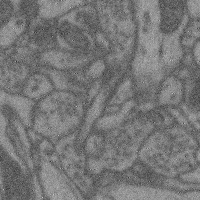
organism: Mouse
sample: Cerebral cortex